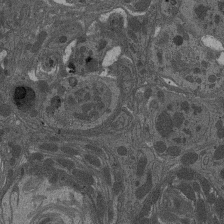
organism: Drosophila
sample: Antenna